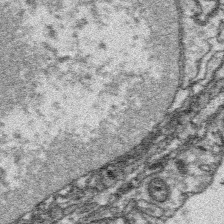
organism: Platynereis dumerilii